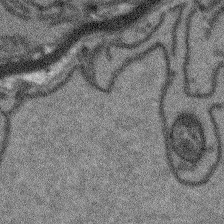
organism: Arabidopsis thaliana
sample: Root tip